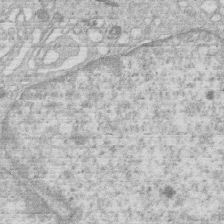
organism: Human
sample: Macrophage cells